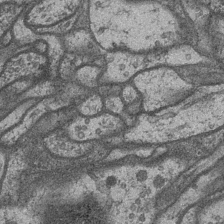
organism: Drosophila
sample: Optic medulla